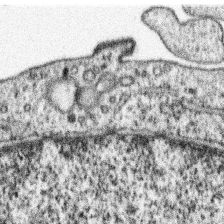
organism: Human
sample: HeLa cells